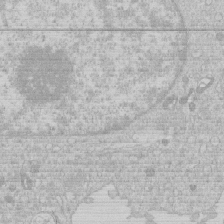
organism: Human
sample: Macrophage cells